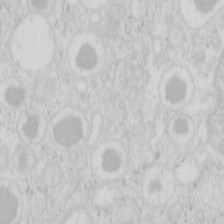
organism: Mouse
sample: Pancreas